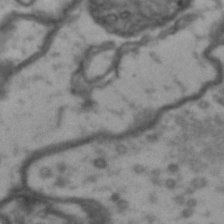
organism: Drosophila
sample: Brain